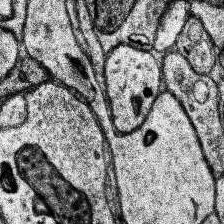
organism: Human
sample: Temporal Lobe